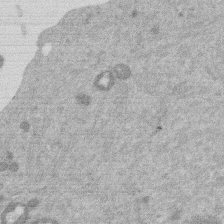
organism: Mouse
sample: Dividing mouse embryo 1 cell stage